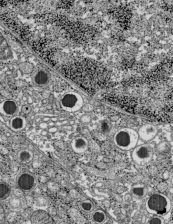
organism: C57BL Mouse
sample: Pancreatic islet